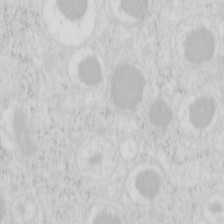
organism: Mouse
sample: Pancreas